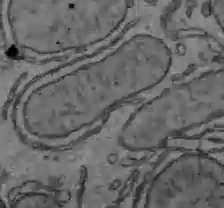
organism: C57BL Mouse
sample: Liver